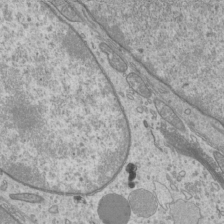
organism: Mouse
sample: Cilia; mouse epididymis